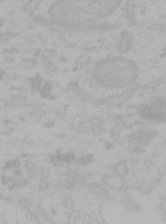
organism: Mouse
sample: Choroid plexus